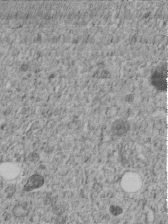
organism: C. elegans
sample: C. elegans embryo early stage